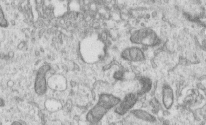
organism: Human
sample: Centriole in RPE cells